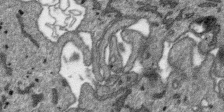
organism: Human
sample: Lung epithelial cells, uninfected (mock) control